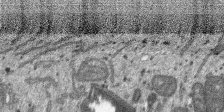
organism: Human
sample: Lung epithelial cells infected with SARS-CoV-2